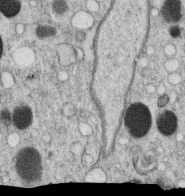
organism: C. elegans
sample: C. elegans oocyte; sperm cells